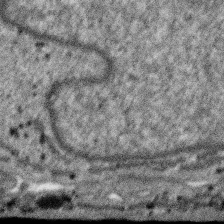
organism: Human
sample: Lung epithelial cells infected with SARS-CoV-2